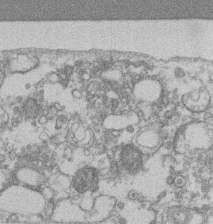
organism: Mouse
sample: T cell stromal cell synapse